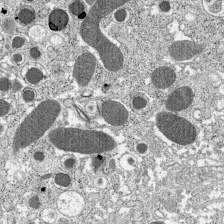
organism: C57BL Mouse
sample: Pancreatic islet